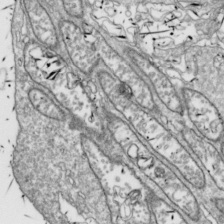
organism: Drosophila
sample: Cell division; meiosis; drosophila spermatocytes